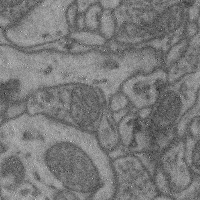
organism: Mouse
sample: Cerebral cortex